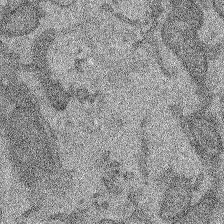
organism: Human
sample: HeLa cells